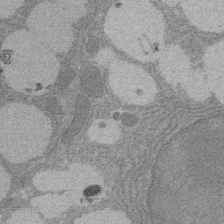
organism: Rat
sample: Salivary granule